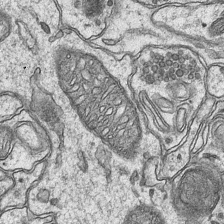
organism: Mouse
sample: CA1 Hippocampus